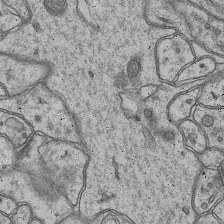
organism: Mouse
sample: CA1 Hippocampus